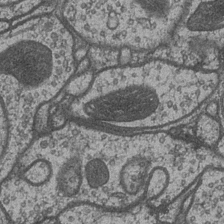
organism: Drosophila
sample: Optic medulla